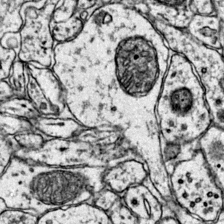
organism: Mouse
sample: Primary visual cortex